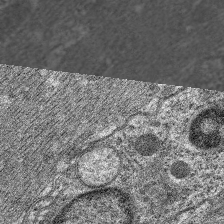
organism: C. elegans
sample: Pharynx